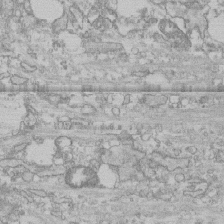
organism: Human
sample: CRL-1474